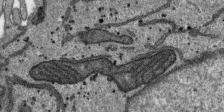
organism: Human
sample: Lung epithelial cells, uninfected (mock) control